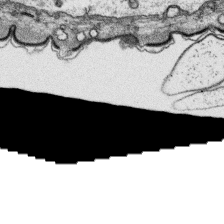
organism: Platynereis dumerilii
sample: Parapodia